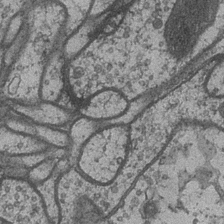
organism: Drosophila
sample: Optic medulla